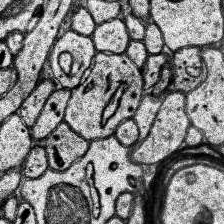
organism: Human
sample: Temporal Lobe